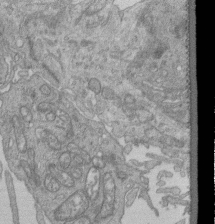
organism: Human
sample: Retinal organoid Rod and Cone cells